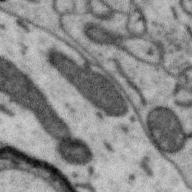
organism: Zebra finch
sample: Brain